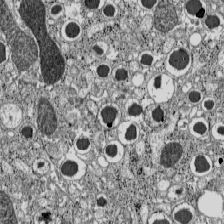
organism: C57BL Mouse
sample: Pancreatic islet